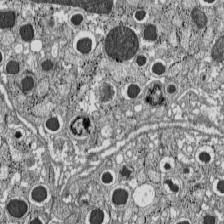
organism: C57BL Mouse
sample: Pancreatic islet